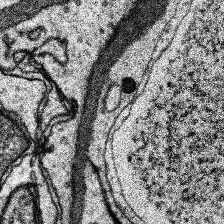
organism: Human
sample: Temporal Lobe